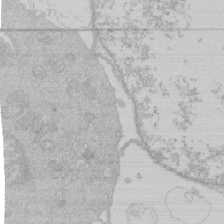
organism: Human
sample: Macrophage cells